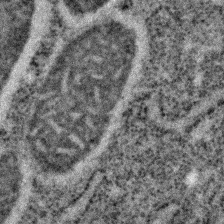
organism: C. elegans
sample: C. elegans embryo